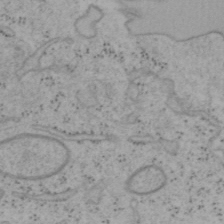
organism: Human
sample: HeLa cells